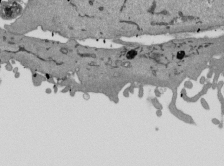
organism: Mouse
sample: ED-1 cell nuclei; centrioles